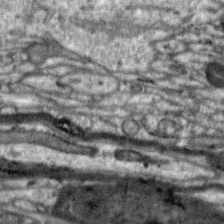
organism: Zebra finch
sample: Brain